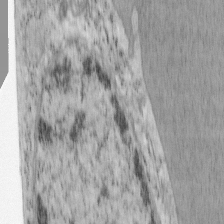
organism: Human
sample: HeLa cells